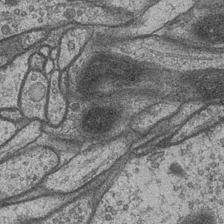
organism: Drosophila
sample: Optic medulla